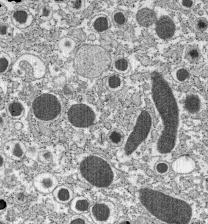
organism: C57BL Mouse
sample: Pancreatic islet